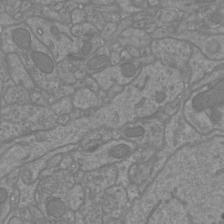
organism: Mouse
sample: Cortical neurons